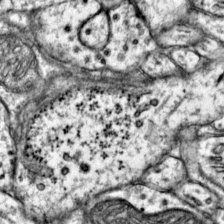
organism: Mouse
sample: Primary visual cortex